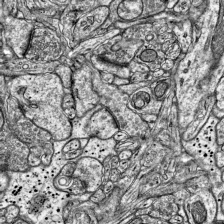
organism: Mouse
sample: Visual Cortex